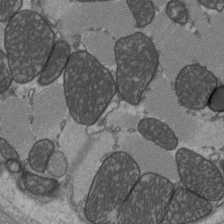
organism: C57BL Mouse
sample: Heart